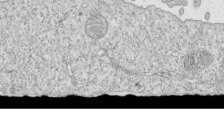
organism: Human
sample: HeLa cell HIV synapse